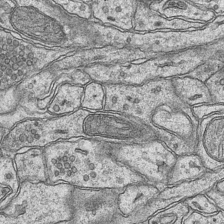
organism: Mouse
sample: CA1 Hippocampus